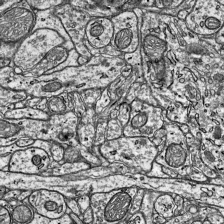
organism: Mouse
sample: Visual Cortex